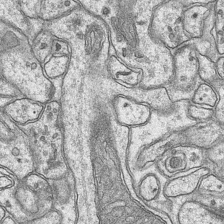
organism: Mouse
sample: CA1 Hippocampus